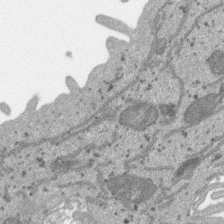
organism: Human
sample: Lung epithelial cells infected with SARS-CoV-2